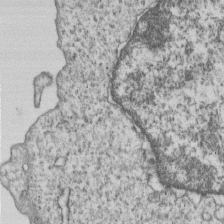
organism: Human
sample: MDA-MB-231 cells